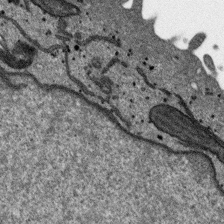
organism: Human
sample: Lung epithelial cells, uninfected (mock) control